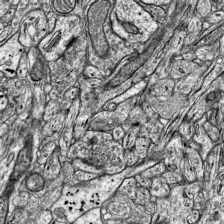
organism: Mouse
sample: Visual Cortex